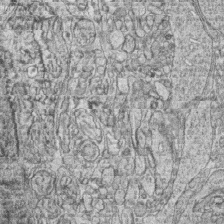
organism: Zebrafish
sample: synaptic ribbons in rod cells and cone cells